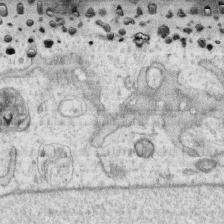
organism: Human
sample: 1205lu cells